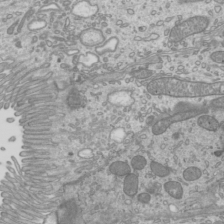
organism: Mouse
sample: Cilia; mouse epididymis